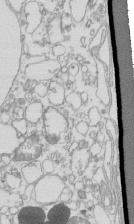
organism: Mouse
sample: Macrophages